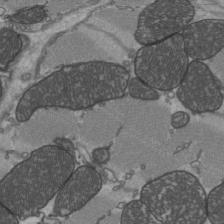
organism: C57BL Mouse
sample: Heart